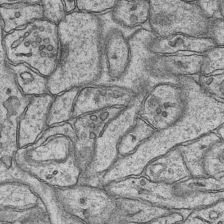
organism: Mouse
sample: CA1 Hippocampus